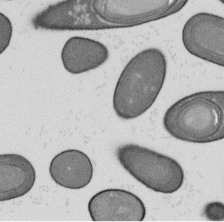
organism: B. subtilis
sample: Bacterial spore